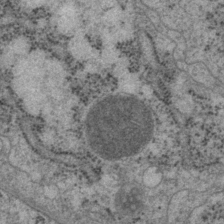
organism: P. pacificus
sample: Pharynx